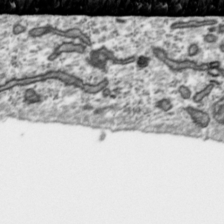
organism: Toxoplasma gondii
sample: Parasites in a vacuole inside a host cell